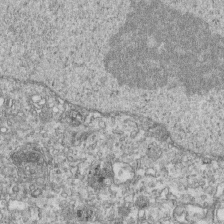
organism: Human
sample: HeLa cell HIV synapse